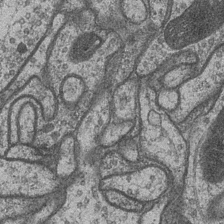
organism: Drosophila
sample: Optic medulla